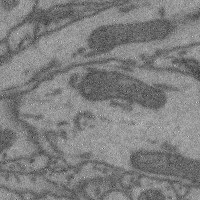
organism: Mouse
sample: Cerebral cortex